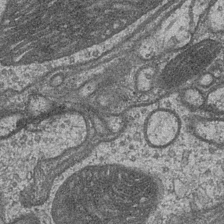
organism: Drosophila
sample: Optic medulla